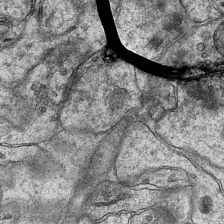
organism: Mouse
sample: CA1 Hippocampus